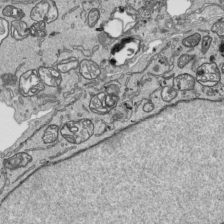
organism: Human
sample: Mitochondria in HCT116 cells